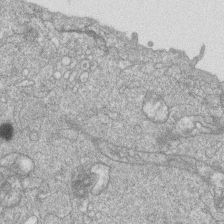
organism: Human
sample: HeLa cell HIV synapse